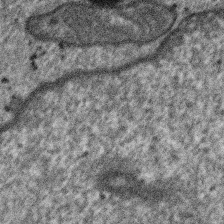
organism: Human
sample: Lung epithelial cells infected with SARS-CoV-2